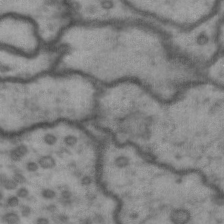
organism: Drosophila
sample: Brain